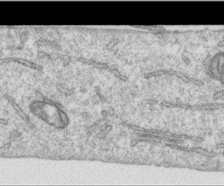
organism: Human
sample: Centriole in RPE cells